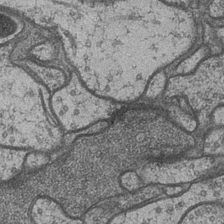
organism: Drosophila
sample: Optic medulla